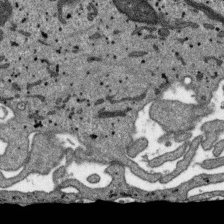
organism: Human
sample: Lung epithelial cells, uninfected (mock) control